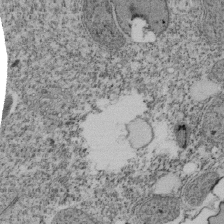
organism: Tetrahymena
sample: Cilia in tetrahymena